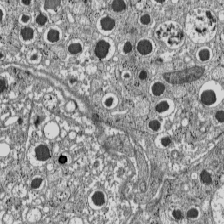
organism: C57BL Mouse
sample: Pancreatic islet